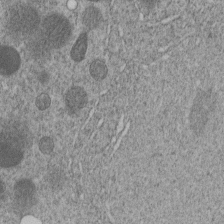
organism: C. elegans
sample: C. elegans embryo early stage